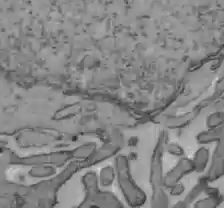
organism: C57BL Mouse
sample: Liver